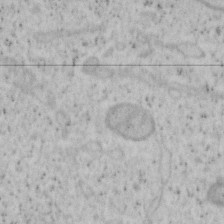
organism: Human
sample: HeLa cells